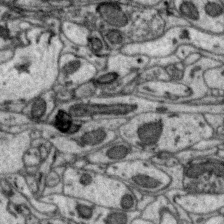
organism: Zebra finch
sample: Brain